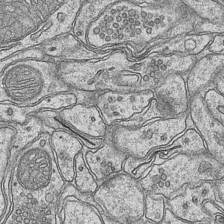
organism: Mouse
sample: CA1 Hippocampus